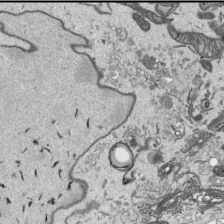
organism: Human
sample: Mitochondria in HCT116 cells